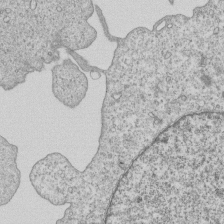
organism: Human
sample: MDA-MB-231 cells